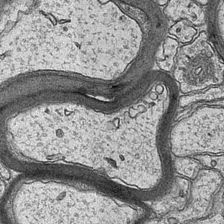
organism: Mouse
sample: CA1 Hippocampus